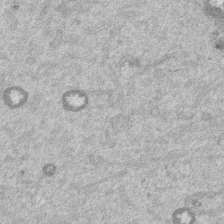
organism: Mouse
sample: Dividing mouse embryo 1 cell stage